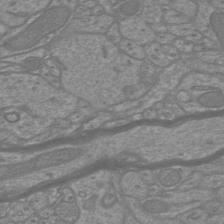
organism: Mouse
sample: Cortical neurons